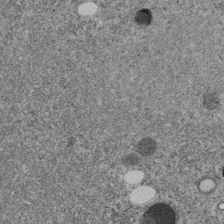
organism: C. elegans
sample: C. elegans embryo early stage